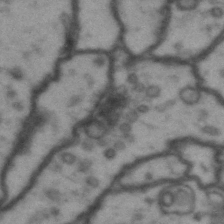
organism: Drosophila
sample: Brain